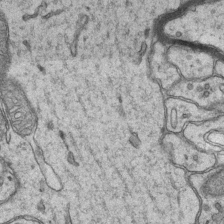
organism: Mouse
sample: CA1 Hippocampus